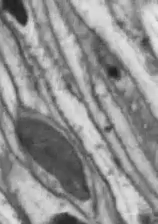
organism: Drosophila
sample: Optic lobe